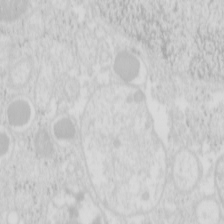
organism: Mouse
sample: Pancreas